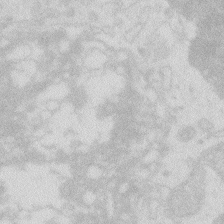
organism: Zebrafish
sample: Macrophage